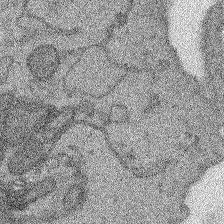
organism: Human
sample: HeLa cells